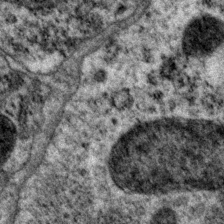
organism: P. pacificus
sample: Pharynx